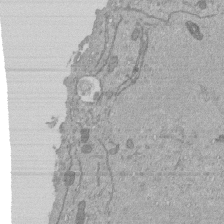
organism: Mouse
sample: ED-1 cell nuclei; centrioles